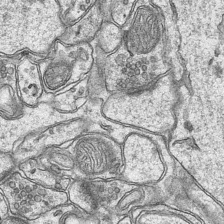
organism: Mouse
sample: CA1 Hippocampus